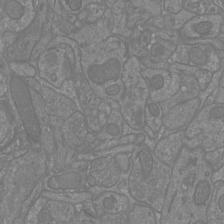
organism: Mouse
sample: Cortical neurons